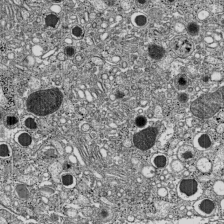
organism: C57BL Mouse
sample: Pancreatic islet